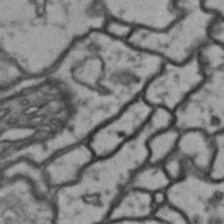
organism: Drosophila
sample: Brain